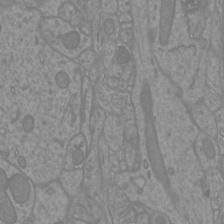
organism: Mouse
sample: Cortical neurons